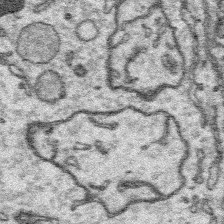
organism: Platynereis dumerilii